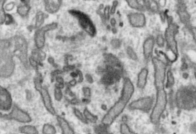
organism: Toxoplasma gondii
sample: Parasites in a vacuole inside a host cell